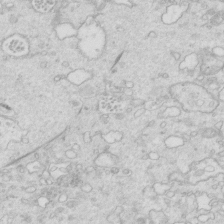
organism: Mouse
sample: Multiciliated cells